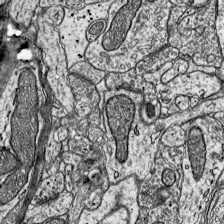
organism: Mouse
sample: Visual Cortex